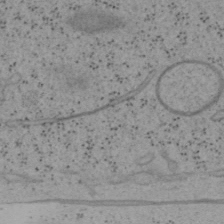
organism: Human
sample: HeLa cells